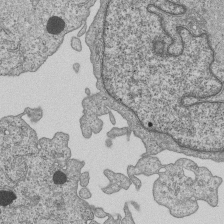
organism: Human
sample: MDA-MB-231 cells